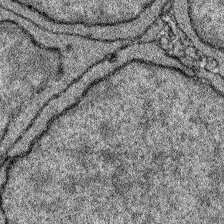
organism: Zebrafish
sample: Larval olfactory bulb